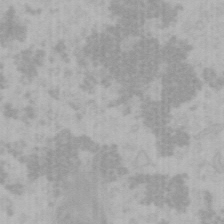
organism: Mouse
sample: Choroid plexus